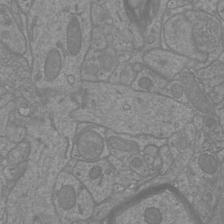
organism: Mouse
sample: Cortical neurons